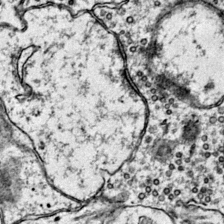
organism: Mouse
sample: Primary visual cortex